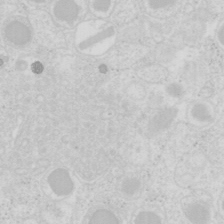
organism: Mouse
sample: Pancreas